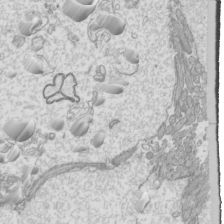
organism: Mouse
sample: Cilia; mouse epididymis